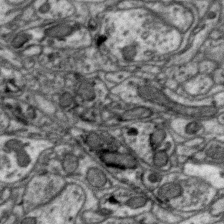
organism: Zebra finch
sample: Brain